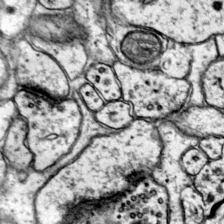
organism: Mouse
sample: Primary visual cortex